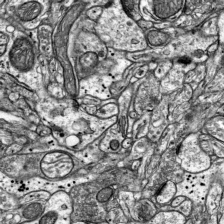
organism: Mouse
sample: Visual Cortex